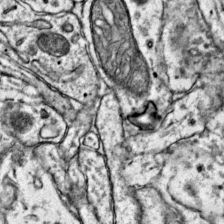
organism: Mouse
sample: Primary visual cortex